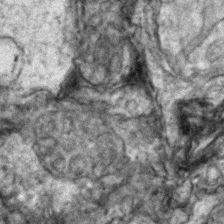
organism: Zebrafish